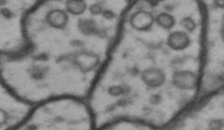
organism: Drosophila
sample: Brain